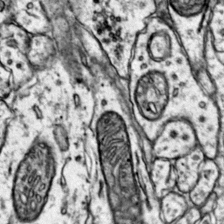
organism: Mouse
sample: Primary visual cortex